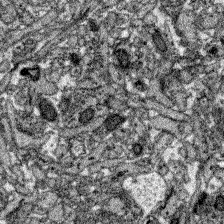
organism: Zebrafish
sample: Larval olfactory bulb